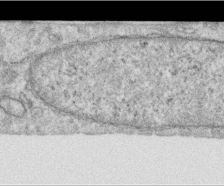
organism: Human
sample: Centriole in RPE cells